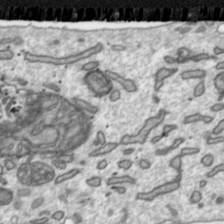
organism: Toxoplasma gondii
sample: Parasites in a vacuole inside a host cell